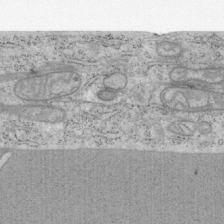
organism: Human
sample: HeLa cells